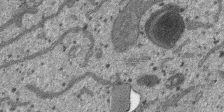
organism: Human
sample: Lung epithelial cells infected with SARS-CoV-2